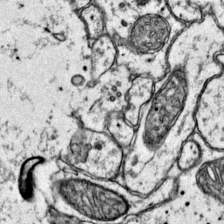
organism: Mouse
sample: Primary visual cortex